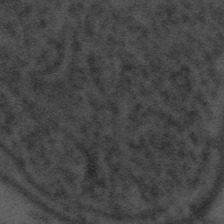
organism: Tuwongella immobilis